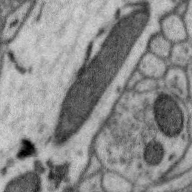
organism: Zebra finch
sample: Brain